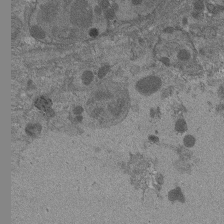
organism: Drosophila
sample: Antenna